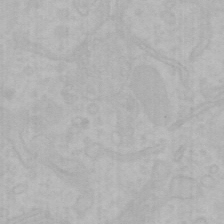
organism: Mouse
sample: Choroid plexus